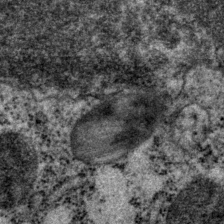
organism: P. pacificus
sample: Pharynx